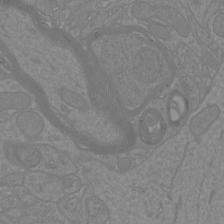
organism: Mouse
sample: Cortical neurons